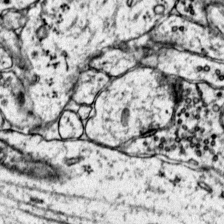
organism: Mouse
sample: Primary visual cortex